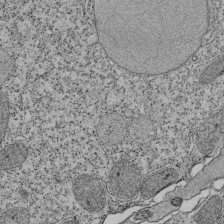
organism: Tetrahymena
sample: Cilia in tetrahymena